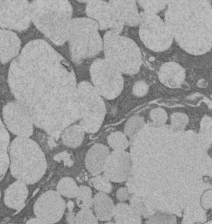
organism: Rat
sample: Salivary granule